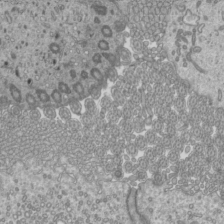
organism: Mouse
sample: Cilia; mouse epididymis